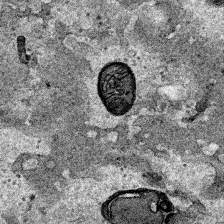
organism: Human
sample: Mitochondria in HCT116 cells